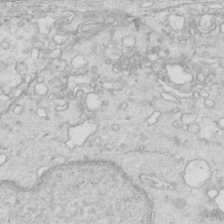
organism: Mouse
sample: Multiciliated cells